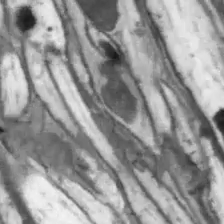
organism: Drosophila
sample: Optic lobe